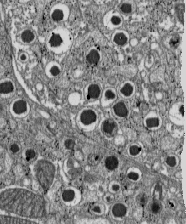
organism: C57BL Mouse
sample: Pancreatic islet